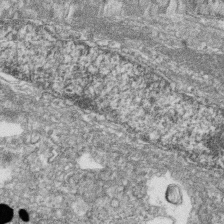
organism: Zebrafish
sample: Cilia; retinal pigment epithelium